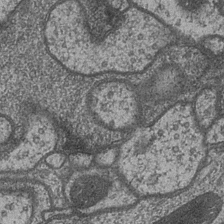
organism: Drosophila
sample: Optic medulla